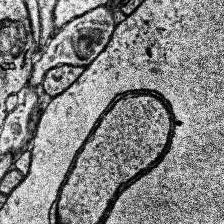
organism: Human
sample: Temporal Lobe